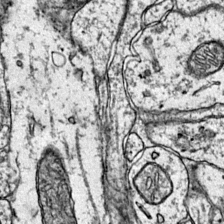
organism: Mouse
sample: Primary visual cortex